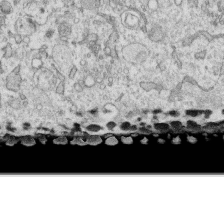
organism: Human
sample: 1205lu cells